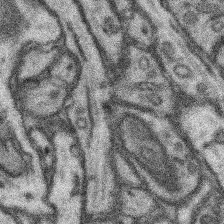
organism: Mouse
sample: Somatosensory cortex neuropil